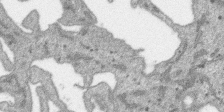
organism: Human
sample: Lung epithelial cells infected with SARS-CoV-2